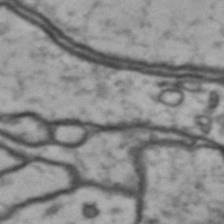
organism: Drosophila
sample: Brain